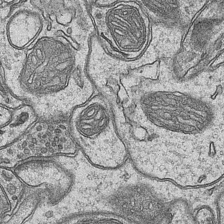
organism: Mouse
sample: CA1 Hippocampus